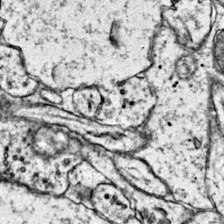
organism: Mouse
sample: Primary visual cortex